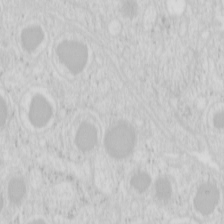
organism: Mouse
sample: Pancreas